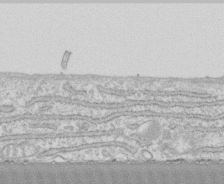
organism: Human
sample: CRL-1474